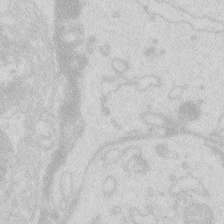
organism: Zebrafish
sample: Macrophage